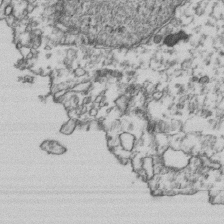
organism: Human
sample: Activated Jurkat CD4+ T cells